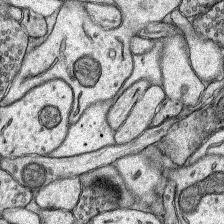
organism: Rat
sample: Hippocampus